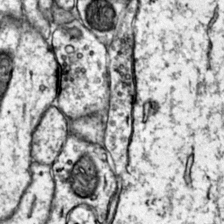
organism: Mouse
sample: Primary visual cortex